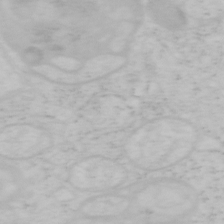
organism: Mouse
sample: OT-I killer T cells with ID8 ovarian cancer cells